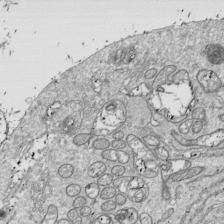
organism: Drosophila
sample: Cell division; meiosis; drosophila spermatocytes